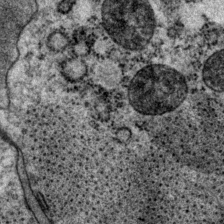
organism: P. pacificus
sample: Pharynx